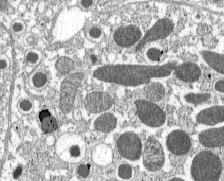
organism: C57BL Mouse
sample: Pancreatic islet